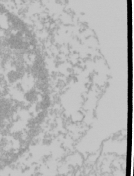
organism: Mouse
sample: Cancer cell death in ED-1 cells